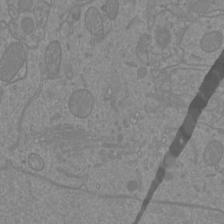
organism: Mouse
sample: Cortical neurons